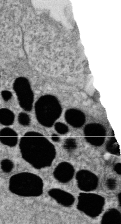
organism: Zebrafish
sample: Cilia; retinal pigment epithelium